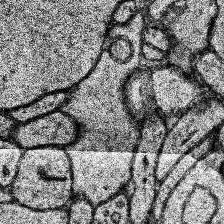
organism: Human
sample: Temporal Lobe